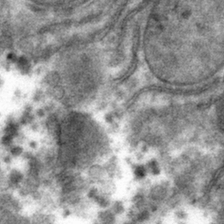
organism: Mouse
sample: Mouse hepatocytes